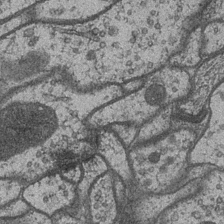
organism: Drosophila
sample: Optic medulla